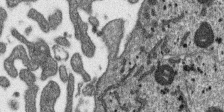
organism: Human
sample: Lung epithelial cells infected with SARS-CoV-2